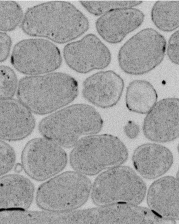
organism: E. coli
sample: Bacterial nucleoid